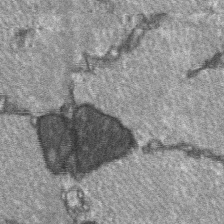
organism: C57BL Mouse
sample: Soleus